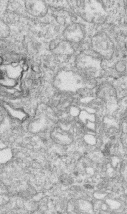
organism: Human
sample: HeLa cell HIV synapse